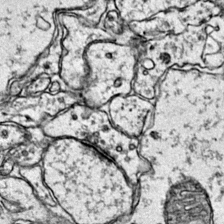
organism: Mouse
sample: Primary visual cortex